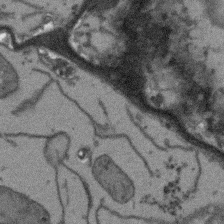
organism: Arabidopsis thaliana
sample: Root tip